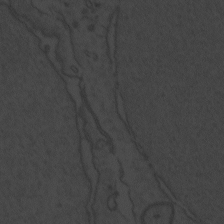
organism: Zebrafish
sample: Macrophage infected with Toxoplasma gondii